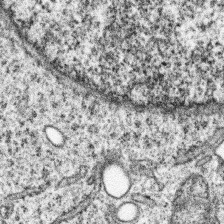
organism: Human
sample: HeLa cells